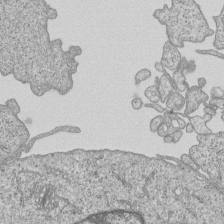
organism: Human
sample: MDA-MB-231 cells